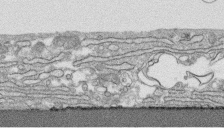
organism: Human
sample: CRL-1474